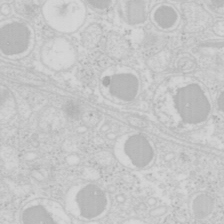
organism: Mouse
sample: Pancreas